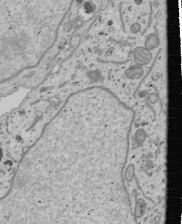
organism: Human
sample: Mitochondria in U2OS cells